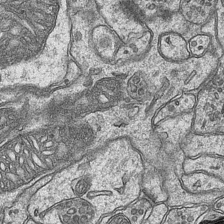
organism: Mouse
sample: CA1 Hippocampus